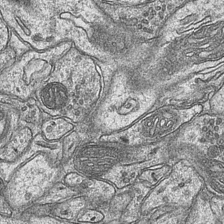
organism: Mouse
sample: CA1 Hippocampus